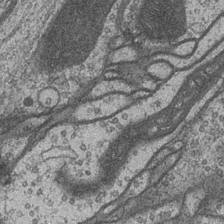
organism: Drosophila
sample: Optic medulla